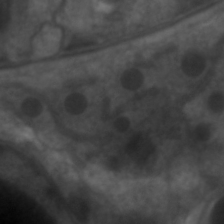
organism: C. elegans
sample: Pharynx